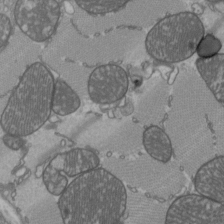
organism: C57BL Mouse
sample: Heart